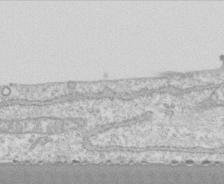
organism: Human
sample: CRL-1474